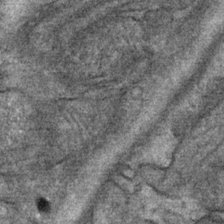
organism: Mouse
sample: Mouse Salivary gland